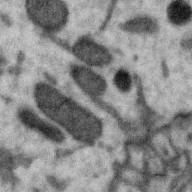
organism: Zebra finch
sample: Brain